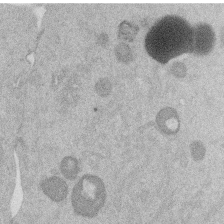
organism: Mouse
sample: Dividing mouse embryo 1 cell stage